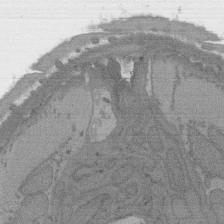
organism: C. elegans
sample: AFD neurons C. elegans